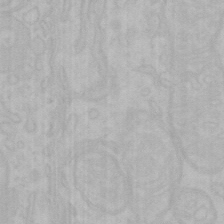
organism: Mouse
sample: Choroid plexus